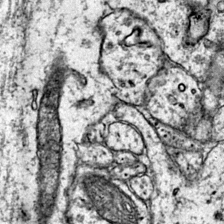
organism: Mouse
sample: Primary visual cortex